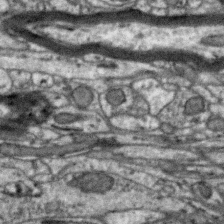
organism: Zebra finch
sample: Brain